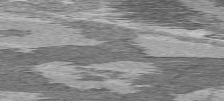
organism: C57BL Mouse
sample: Heart